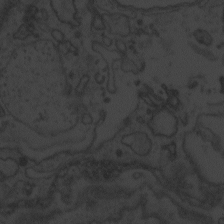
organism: Zebrafish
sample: Macrophage infected with Toxoplasma gondii